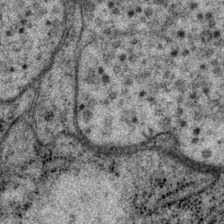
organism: P. pacificus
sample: Pharynx